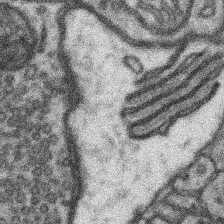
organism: Mouse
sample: Somatosensory cortex neuropil